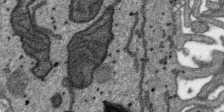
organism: Human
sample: Lung epithelial cells, uninfected (mock) control